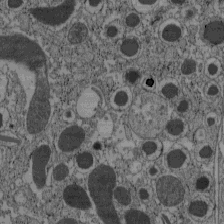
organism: C57BL Mouse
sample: Pancreatic islet